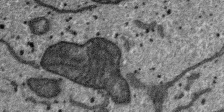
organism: Human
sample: Lung epithelial cells, uninfected (mock) control